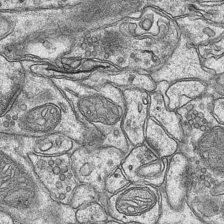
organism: Mouse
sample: CA1 Hippocampus